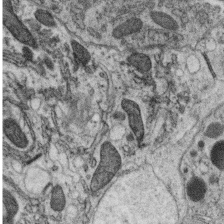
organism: C. elegans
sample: C. elegans oocyte; sperm cells